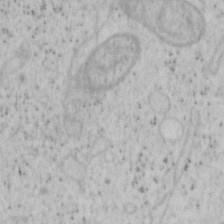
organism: Human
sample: HeLa cells